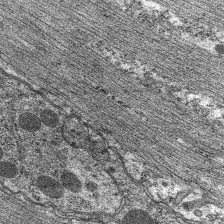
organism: C. elegans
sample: Pharynx